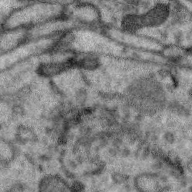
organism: Zebra finch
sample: Brain